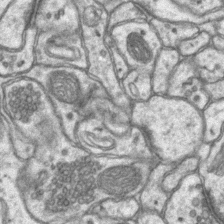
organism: Mouse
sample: CA1 Hippocampus